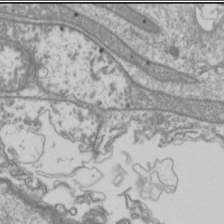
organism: Drosophila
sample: Cell division; meiosis; drosophila spermatocytes